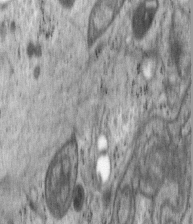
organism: Human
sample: HeLa cells